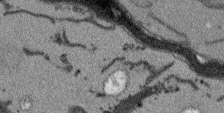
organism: Arabidopsis thaliana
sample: Root tip